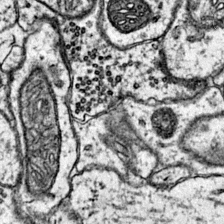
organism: Mouse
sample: Primary visual cortex